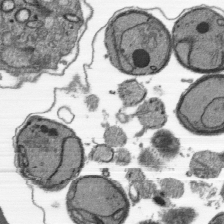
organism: Plasmodium falciparum